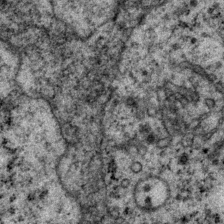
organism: P. pacificus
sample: Pharynx